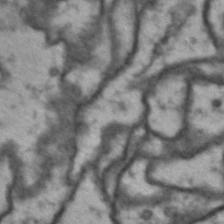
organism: Drosophila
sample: Brain